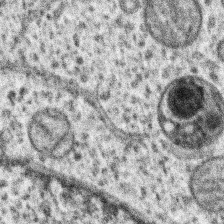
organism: Human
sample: HeLa cells